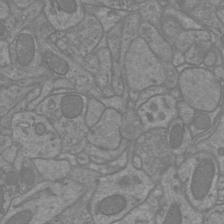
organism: Mouse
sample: Cortical neurons